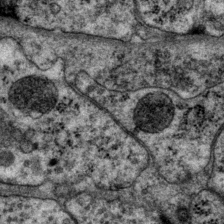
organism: P. pacificus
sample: Pharynx